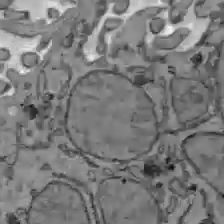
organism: C57BL Mouse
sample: Liver